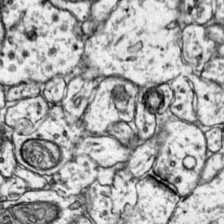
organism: Mouse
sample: Primary visual cortex